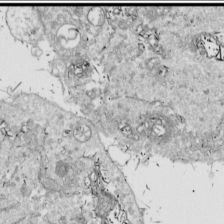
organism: Drosophila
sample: Cell division; meiosis; drosophila spermatocytes